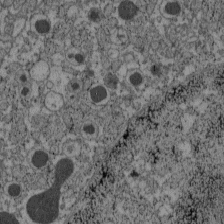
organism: C57BL Mouse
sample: Pancreatic islet